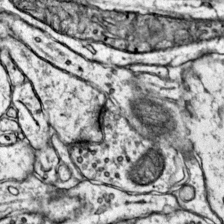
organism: Mouse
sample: Primary visual cortex